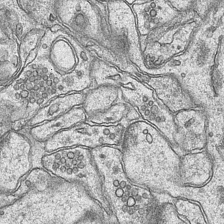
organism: Mouse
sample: CA1 Hippocampus